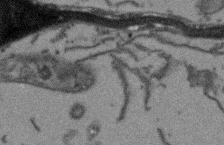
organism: Arabidopsis thaliana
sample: Root tip